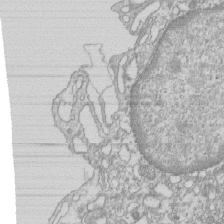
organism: Mouse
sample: Macrophages